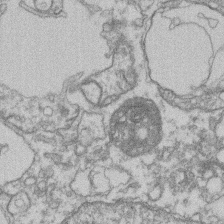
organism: Mouse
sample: T cell stromal cell synapse